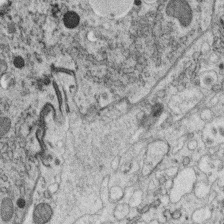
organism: C. elegans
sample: C. elegans oocyte; sperm cells